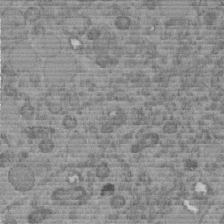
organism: C. elegans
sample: C. elegans embryo early stage